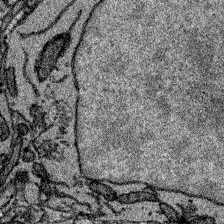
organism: Zebrafish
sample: Larval olfactory bulb